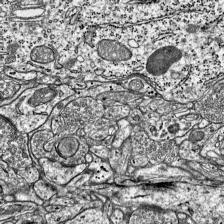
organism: Mouse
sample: Visual Cortex